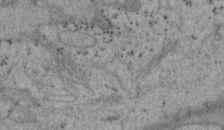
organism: Human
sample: HeLa cells